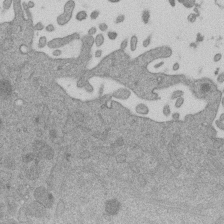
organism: Mouse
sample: Dividing mouse embryo 1 cell stage